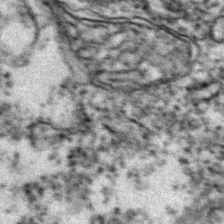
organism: Zebrafish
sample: Zebrafish embryo